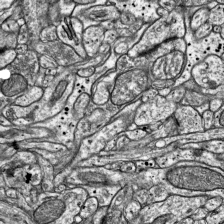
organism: Mouse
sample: Visual Cortex